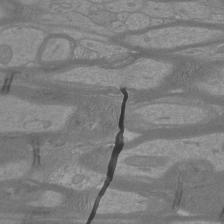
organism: Mouse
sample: Cortical neurons